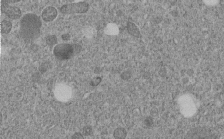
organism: C. elegans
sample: C. elegans embryo early stage